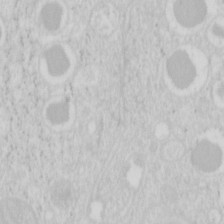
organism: Mouse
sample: Pancreas